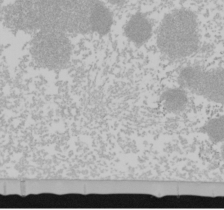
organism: Mouse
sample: Cancer cell death in ED-1 cells